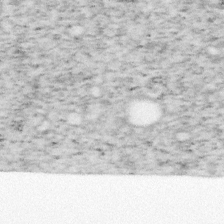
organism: Mouse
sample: OT-I killer T cells with ID8 ovarian cancer cells